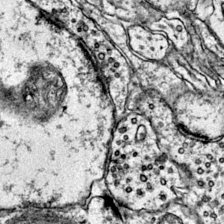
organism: Mouse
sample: Primary visual cortex